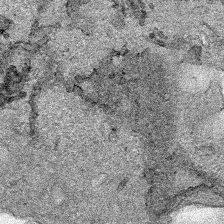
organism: Human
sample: Mitochondria in HCT116 cells